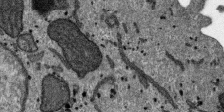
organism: Human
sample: Lung epithelial cells, uninfected (mock) control